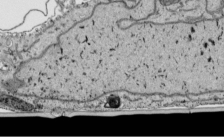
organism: Human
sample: Mitochondria in HCT116 cells